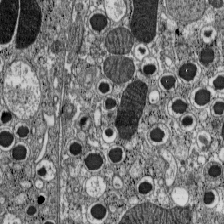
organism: C57BL Mouse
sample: Pancreatic islet